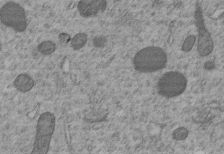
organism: C. elegans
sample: C. elegans embryo early stage